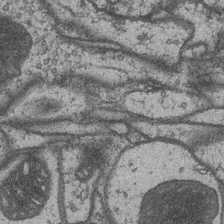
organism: Drosophila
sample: Optic medulla